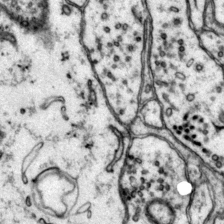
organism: Mouse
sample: Primary visual cortex